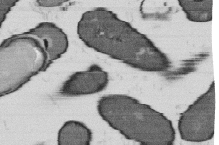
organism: B. subtilis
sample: Bacterial spore